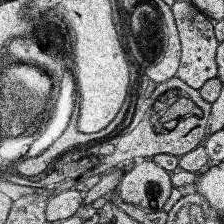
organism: Human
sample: Temporal Lobe